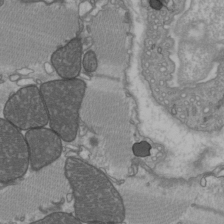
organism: C57BL Mouse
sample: Heart